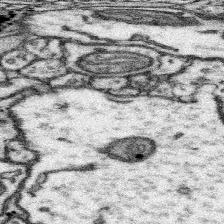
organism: Mouse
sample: Somatosensory cortex neuropil